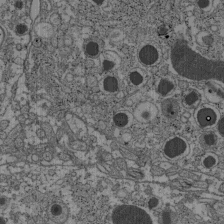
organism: C57BL Mouse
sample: Pancreatic islet